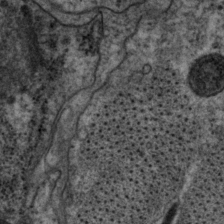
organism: P. pacificus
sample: Pharynx